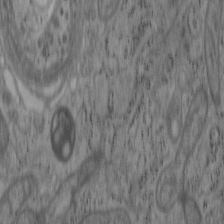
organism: Human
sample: HeLa cells